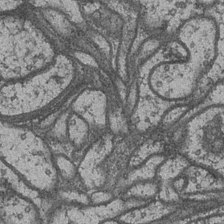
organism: Drosophila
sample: Optic medulla